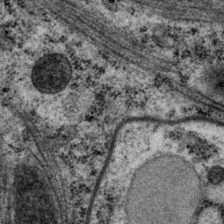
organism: P. pacificus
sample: Pharynx